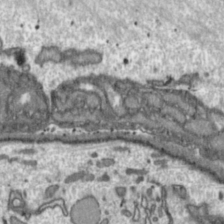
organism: Toxoplasma gondii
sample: Parasites in a vacuole inside a host cell